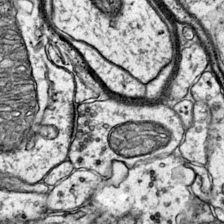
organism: Mouse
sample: Primary visual cortex